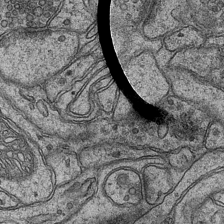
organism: Mouse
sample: CA1 Hippocampus